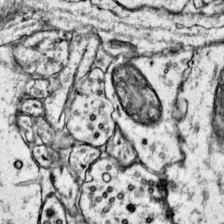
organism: Mouse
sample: Primary visual cortex